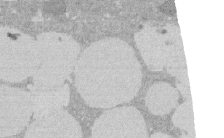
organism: Rat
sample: Salivary granule